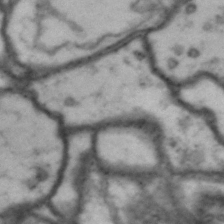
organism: Drosophila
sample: Brain